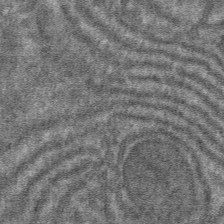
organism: Mouse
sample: Mouse hepatocytes